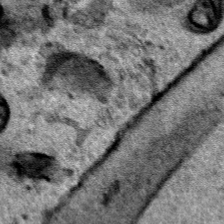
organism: Human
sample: Mitochondria in HCT116 cells